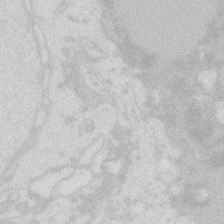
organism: Zebrafish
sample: Macrophage